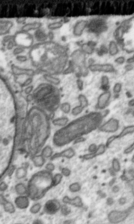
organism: Toxoplasma gondii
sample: Parasites in a vacuole inside a host cell